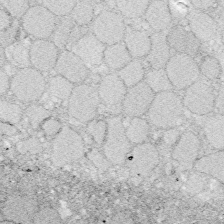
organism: Zebrafish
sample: Whole-Brain